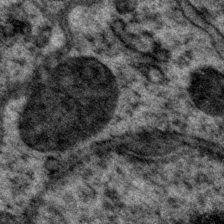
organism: P. pacificus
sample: Pharynx